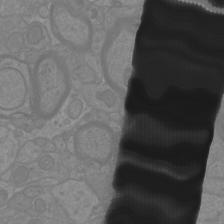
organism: Mouse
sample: Cortical neurons